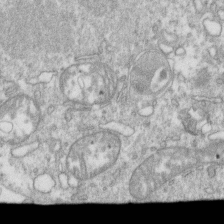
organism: Mouse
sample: Activated OT-1 CD8+ T cells